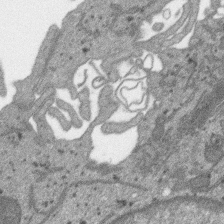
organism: Human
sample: Lung epithelial cells infected with SARS-CoV-2